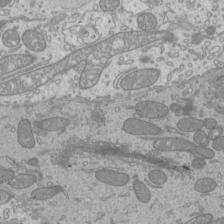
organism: Mouse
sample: Cilia; mouse epididymis